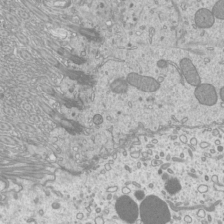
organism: Mouse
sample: Cilia; mouse epididymis